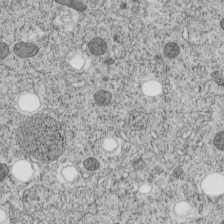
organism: C. elegans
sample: C. elegans embryo early stage